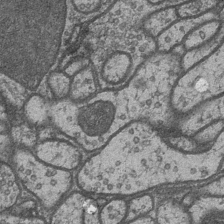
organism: Drosophila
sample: Optic medulla